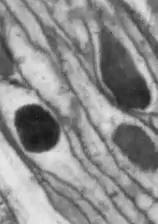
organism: Drosophila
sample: Optic lobe